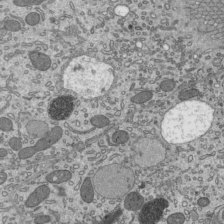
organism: Mouse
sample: Mouse epididymis efferent ductule cilia